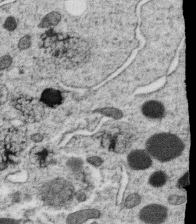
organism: C. elegans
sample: C. elegans oocyte; sperm cells